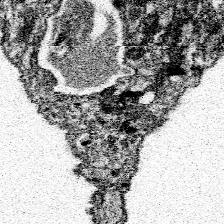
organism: Spongilla lacustris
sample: Neuroid cell